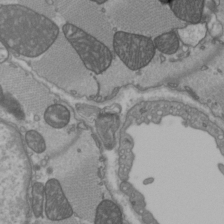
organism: C57BL Mouse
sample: Heart